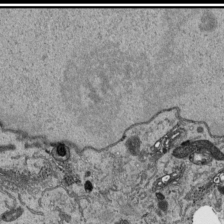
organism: Human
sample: Mitochondria in HCT116 cells